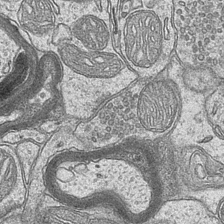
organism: Mouse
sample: CA1 Hippocampus